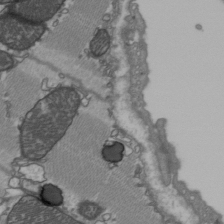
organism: C57BL Mouse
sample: Heart